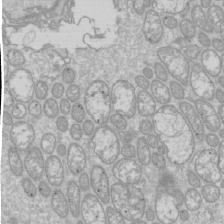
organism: Drosophila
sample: Cell division; meiosis; drosophila spermatocytes